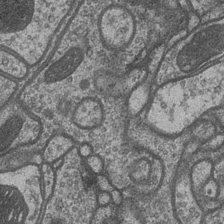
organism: Drosophila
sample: Optic medulla